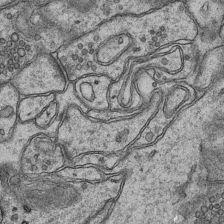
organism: Mouse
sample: CA1 Hippocampus